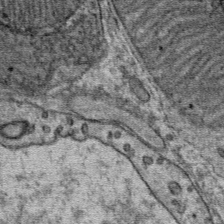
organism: Mouse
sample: Mouse Salivary gland